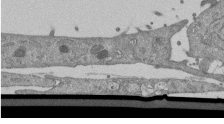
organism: Mouse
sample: ED-1 cell nuclei; centrioles